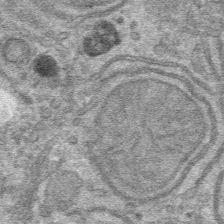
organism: Mouse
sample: Mouse hepatocytes